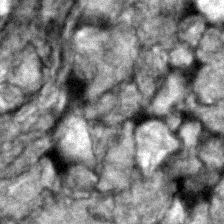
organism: Zebrafish